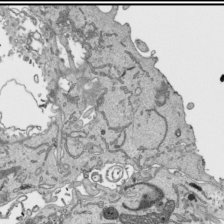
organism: Human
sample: Mitochondria in HCT116 cells